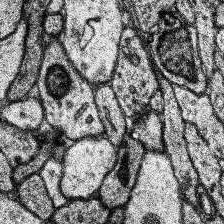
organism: Human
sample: Temporal Lobe